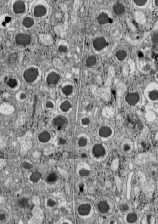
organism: C57BL Mouse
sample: Pancreatic islet